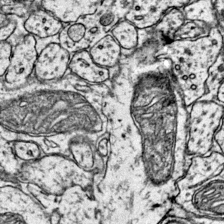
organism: Mouse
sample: Primary visual cortex